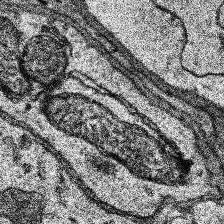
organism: Human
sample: Temporal Lobe